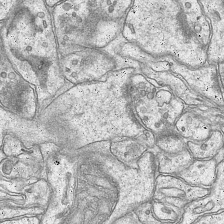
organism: Mouse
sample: CA1 Hippocampus